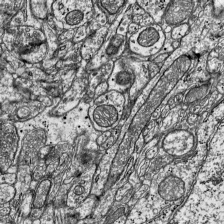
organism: Mouse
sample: Visual Cortex